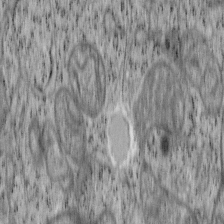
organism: Human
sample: HeLa cells